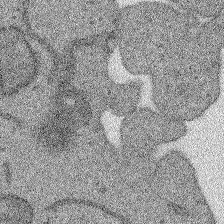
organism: Human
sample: HeLa cells